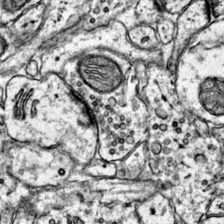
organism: Mouse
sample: Primary visual cortex